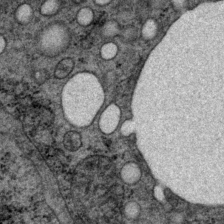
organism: P. pacificus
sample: Pharynx